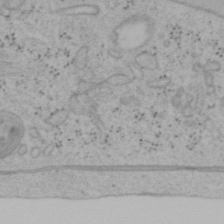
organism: Human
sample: HeLa cells